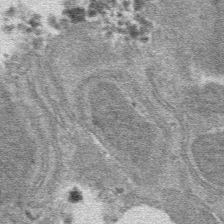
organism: Mouse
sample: Mouse hepatocytes